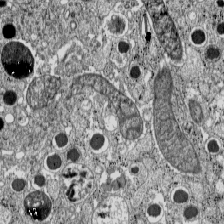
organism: C57BL Mouse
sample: Pancreatic islet